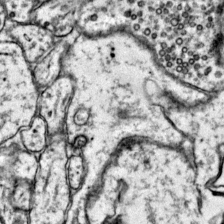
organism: Mouse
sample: Primary visual cortex